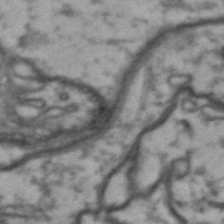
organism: Drosophila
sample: Brain